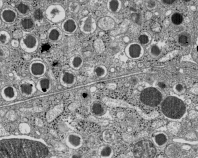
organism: C57BL Mouse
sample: Pancreatic islet